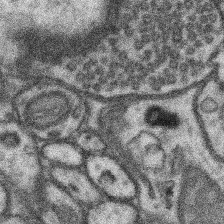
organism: Mouse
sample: Somatosensory cortex neuropil